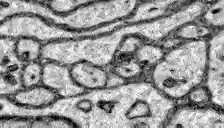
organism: Zebrafish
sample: Brain